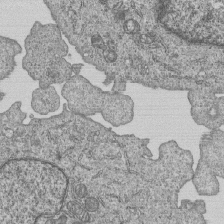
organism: Human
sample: MDA-MB-231 cells